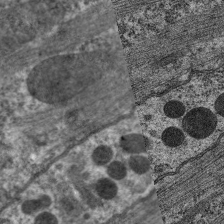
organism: C. elegans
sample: Pharynx